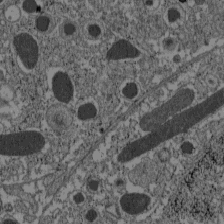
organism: C57BL Mouse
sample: Pancreatic islet